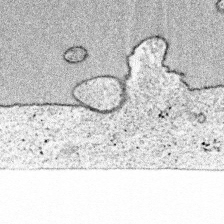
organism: Human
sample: HeLa cells